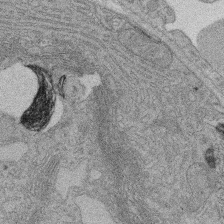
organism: Rat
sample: Salivary granule